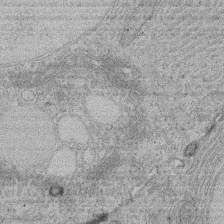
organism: Rat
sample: Salivary granule